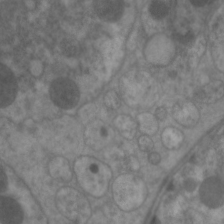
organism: C. elegans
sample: Pharynx